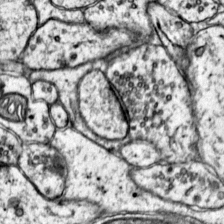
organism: Mouse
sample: Primary visual cortex